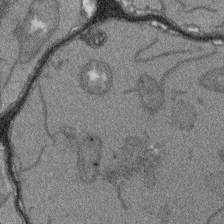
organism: Arabidopsis thaliana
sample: Root tip